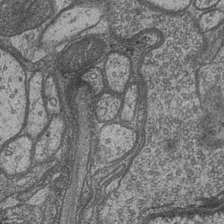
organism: Drosophila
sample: Optic medulla